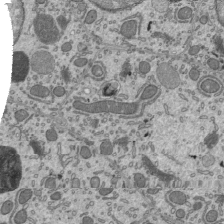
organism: Mouse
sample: Mouse epididymis efferent ductule cilia